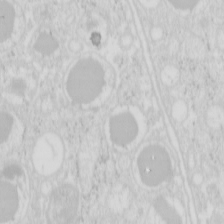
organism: Mouse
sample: Pancreas